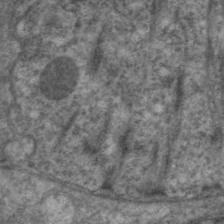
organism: C. elegans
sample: Pharynx